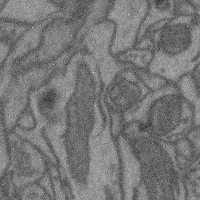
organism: Mouse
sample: Cerebral cortex